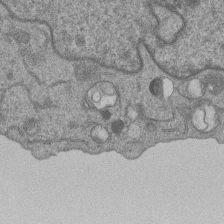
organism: Human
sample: MDA-MB-231 cells